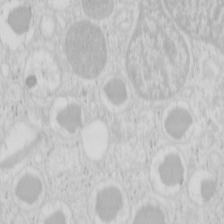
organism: Mouse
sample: Pancreas